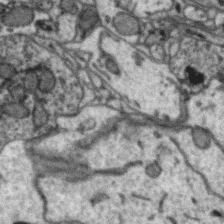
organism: Zebra finch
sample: Brain